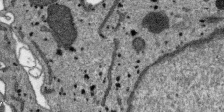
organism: Human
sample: Lung epithelial cells, uninfected (mock) control